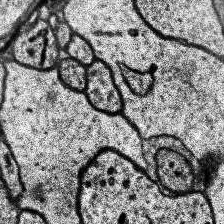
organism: Human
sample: Temporal Lobe